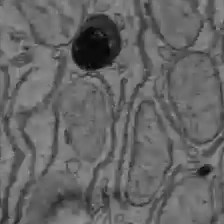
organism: C57BL Mouse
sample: Liver